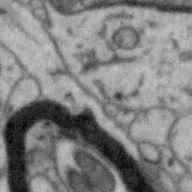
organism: Zebra finch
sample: Brain